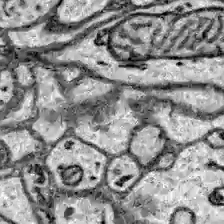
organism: Zebrafish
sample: Brain